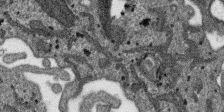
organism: Human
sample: Lung epithelial cells infected with SARS-CoV-2